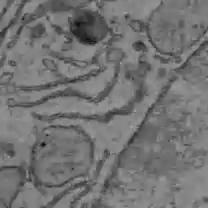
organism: C57BL Mouse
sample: Liver